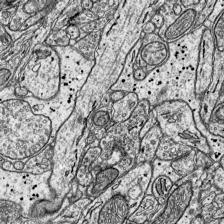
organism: Mouse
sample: Visual Cortex